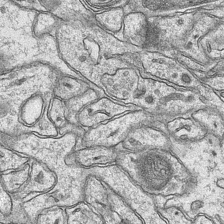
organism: Mouse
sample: CA1 Hippocampus